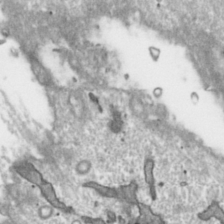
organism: Toxoplasma gondii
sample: Parasites in a vacuole inside a host cell